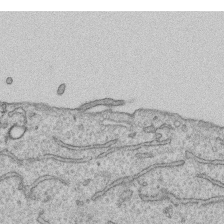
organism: Human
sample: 1205lu cells